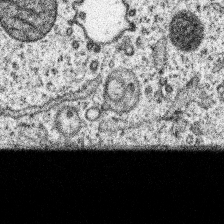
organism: Human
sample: HeLa cells